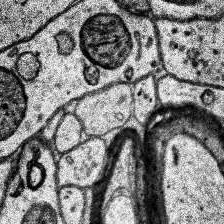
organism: Human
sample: Temporal Lobe